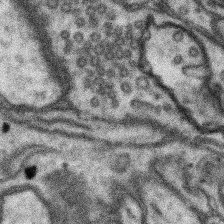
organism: Mouse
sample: Somatosensory cortex neuropil